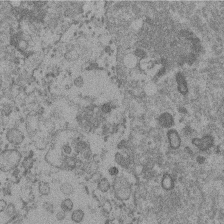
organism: Mouse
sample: Dividing mouse embryo 1 cell stage